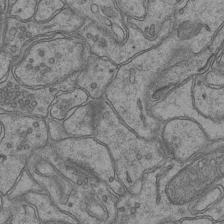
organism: Mouse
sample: CA1 Hippocampus